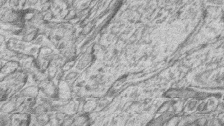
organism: Zebrafish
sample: synaptic ribbons in rod cells and cone cells